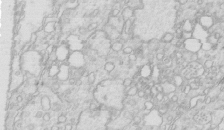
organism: Mouse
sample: Multiciliated cells